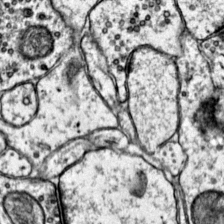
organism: Mouse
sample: Primary visual cortex